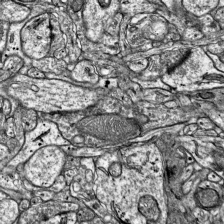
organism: Mouse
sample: Visual Cortex